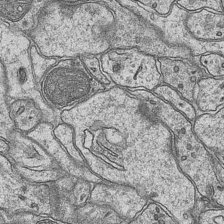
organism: Mouse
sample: CA1 Hippocampus